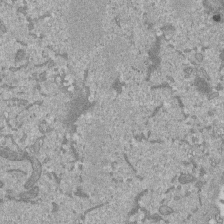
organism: Mouse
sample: ED-1 cell nuclei; centrioles